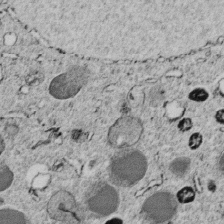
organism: C. elegans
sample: C. elegans embryo early stage